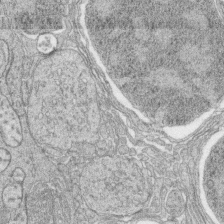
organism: Zebrafish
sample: synaptic ribbons in rod cells and cone cells